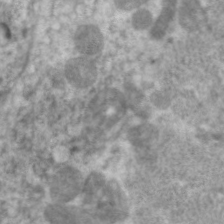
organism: C. elegans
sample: Pharynx